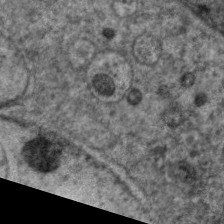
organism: C. elegans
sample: Pharynx